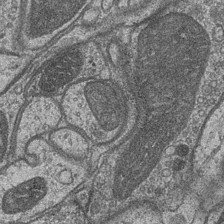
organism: Drosophila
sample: Optic medulla